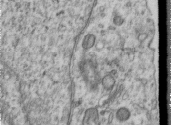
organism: Human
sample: Centriole in RPE cells